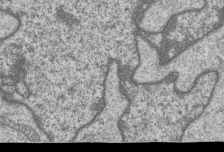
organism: Human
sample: MDA-MB-231 cells